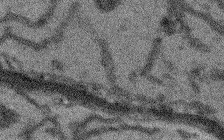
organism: Arabidopsis thaliana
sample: Root tip